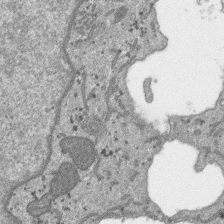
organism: Human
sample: Lung epithelial cells infected with SARS-CoV-2